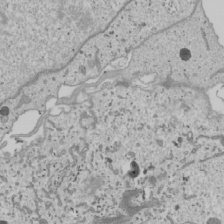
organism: Human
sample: Mitochondria in U2OS cells